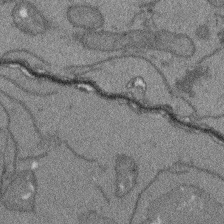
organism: Arabidopsis thaliana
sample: Root tip